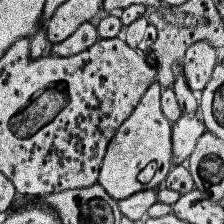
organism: Human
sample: Temporal Lobe